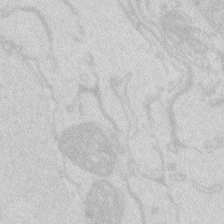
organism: Zebrafish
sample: Macrophage